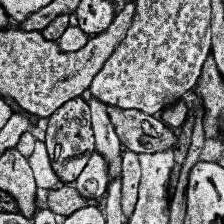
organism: Human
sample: Temporal Lobe